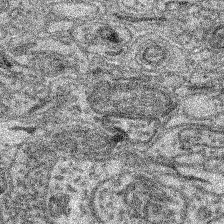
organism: Mouse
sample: Retina